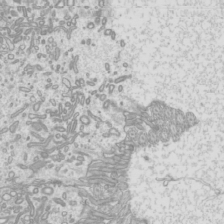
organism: Mouse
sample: Cilia; mouse epididymis